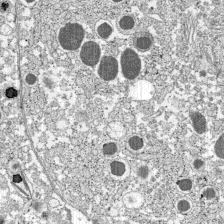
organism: C57BL Mouse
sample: Pancreatic islet